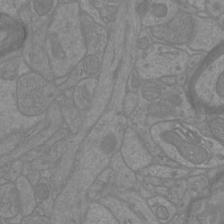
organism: Mouse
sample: Cortical neurons